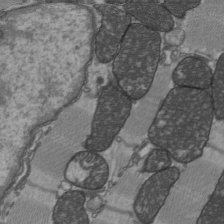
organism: C57BL Mouse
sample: Heart